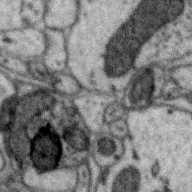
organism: Zebra finch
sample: Brain